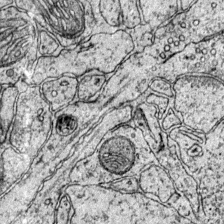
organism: Mouse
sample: Primary visual cortex